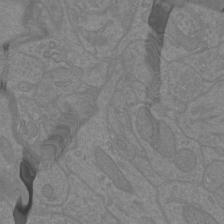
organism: Mouse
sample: Cortical neurons